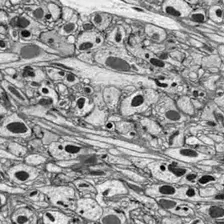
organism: Drosophila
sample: Optic lobe